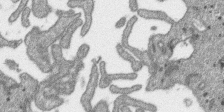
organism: Human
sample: Lung epithelial cells infected with SARS-CoV-2